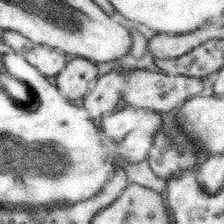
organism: Mouse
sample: Somatosensory cortex neuropil